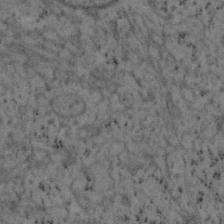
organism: Human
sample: HeLa cells